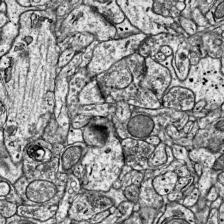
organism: Mouse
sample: Visual Cortex